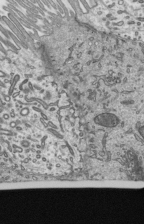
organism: Mouse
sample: Mouse epididymis efferent ductule cilia